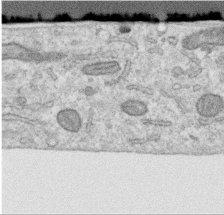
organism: Human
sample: Centriole in RPE cells